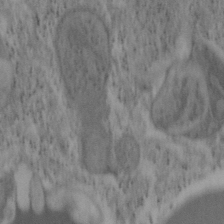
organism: Mouse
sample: OT-I killer T cells with ID8 ovarian cancer cells